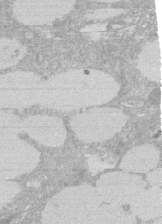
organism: Rat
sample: Salivary granule